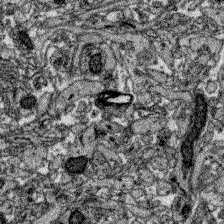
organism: Zebrafish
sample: Larval olfactory bulb